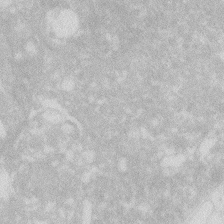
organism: Zebrafish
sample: Macrophage